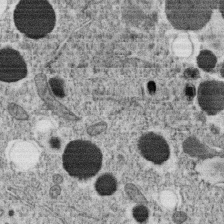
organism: C. elegans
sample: C. elegans oocyte; sperm cells